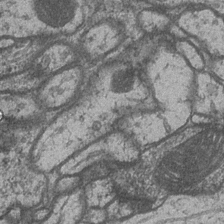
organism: Drosophila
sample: Optic medulla